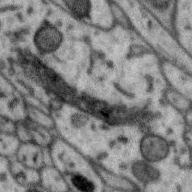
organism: Zebra finch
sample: Brain